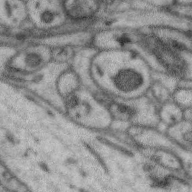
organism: Zebra finch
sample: Brain